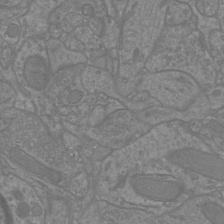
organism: Mouse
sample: Cortical neurons